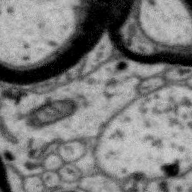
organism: Zebra finch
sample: Brain